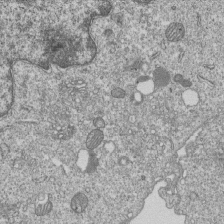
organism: Human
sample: MDA-MB-231 cells